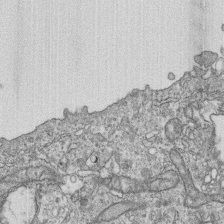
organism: Human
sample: HeLa cell HIV synapse